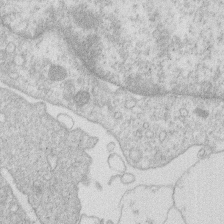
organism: Human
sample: Macrophage cells